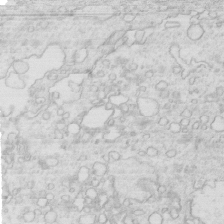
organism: Mouse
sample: Multiciliated cells